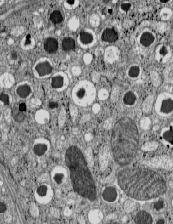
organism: C57BL Mouse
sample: Pancreatic islet